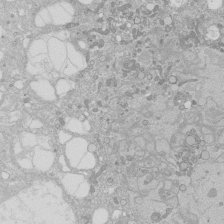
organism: Human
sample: Caco-2 cells